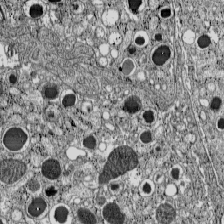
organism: C57BL Mouse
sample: Pancreatic islet